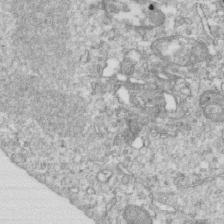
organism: Mouse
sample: Activated OT-1 CD8+ T cells